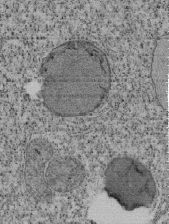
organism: Tetrahymena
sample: Cilia in tetrahymena